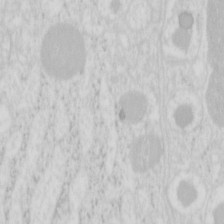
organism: Mouse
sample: Pancreas